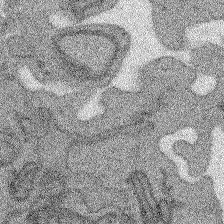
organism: Human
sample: HeLa cells